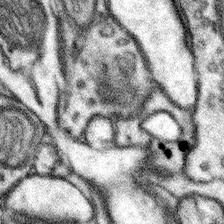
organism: Mouse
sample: Somatosensory cortex neuropil